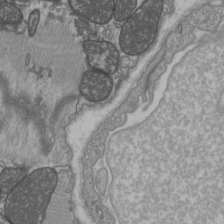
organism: C57BL Mouse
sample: Heart